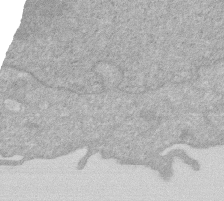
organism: Human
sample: HIV infected U937 cells